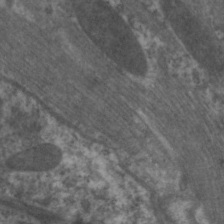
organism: C. elegans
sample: Pharynx